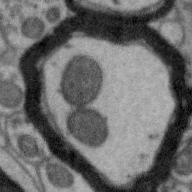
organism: Zebra finch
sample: Brain